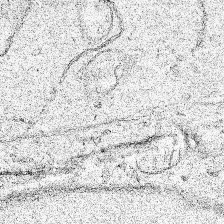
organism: Human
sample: Mitochondria in HCT116 cells